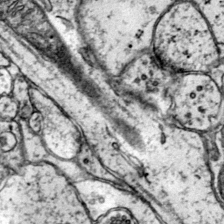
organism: Mouse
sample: Primary visual cortex